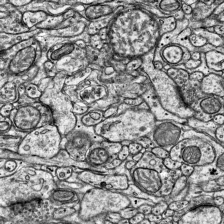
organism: Mouse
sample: Visual Cortex